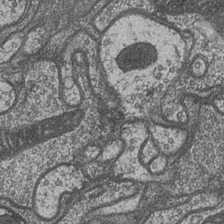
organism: Drosophila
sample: Optic medulla